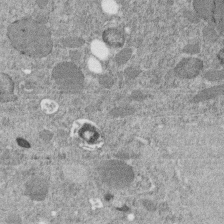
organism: C. elegans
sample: C. elegans embryo early stage